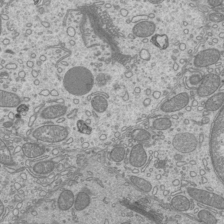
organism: Mouse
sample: Cilia; mouse epididymis